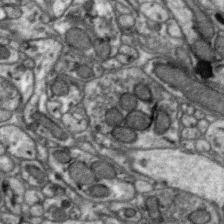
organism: Zebra finch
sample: Brain